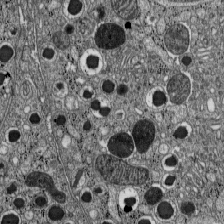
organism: C57BL Mouse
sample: Pancreatic islet